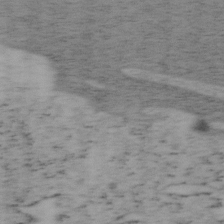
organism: Mouse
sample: OT-I killer T cells with ID8 ovarian cancer cells